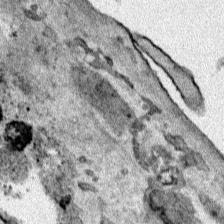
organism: Human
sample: Mitochondria in HCT116 cells